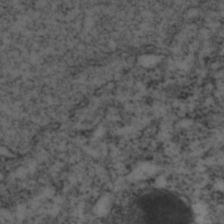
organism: C. elegans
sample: C. elegans embryo